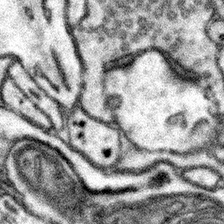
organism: Mouse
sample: Somatosensory cortex neuropil